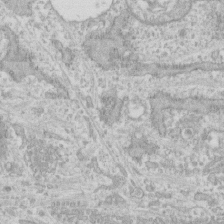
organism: Human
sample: CRL-1474